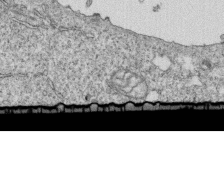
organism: Human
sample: HeLa cell HIV synapse